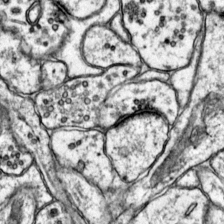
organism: Mouse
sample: Primary visual cortex